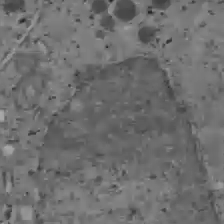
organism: C57BL Mouse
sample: Liver